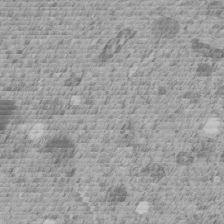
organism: C. elegans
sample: C. elegans embryo early stage